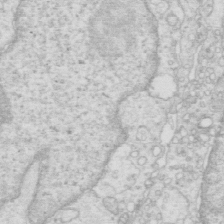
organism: Mouse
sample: Multiciliated cells